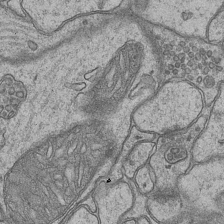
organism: Mouse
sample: CA1 Hippocampus